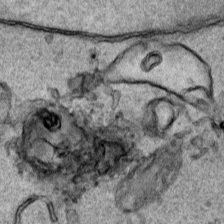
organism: Human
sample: Mitochondria in HCT116 cells